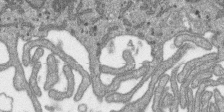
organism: Human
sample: Lung epithelial cells infected with SARS-CoV-2